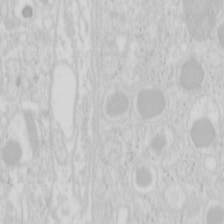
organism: Mouse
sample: Pancreas